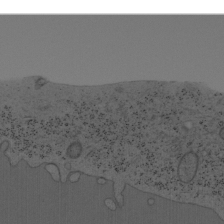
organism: Mouse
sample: OT-I killer T cells with ID8 ovarian cancer cells